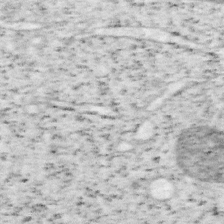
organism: Mouse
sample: OT-I killer T cells with ID8 ovarian cancer cells